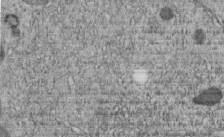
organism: C. elegans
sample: C. elegans embryo early stage